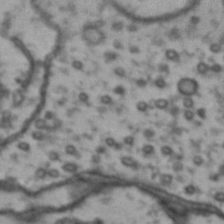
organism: Drosophila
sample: Brain